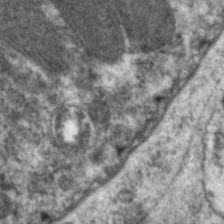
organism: C. elegans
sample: Pharynx